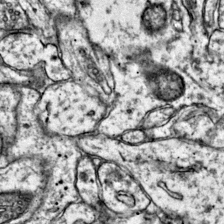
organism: Mouse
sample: Primary visual cortex